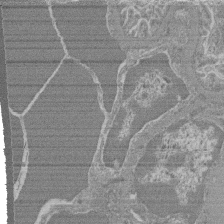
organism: Mouse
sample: Glomerulus